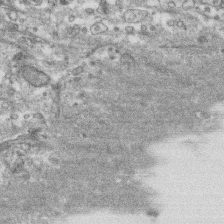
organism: Human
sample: CRL-1474